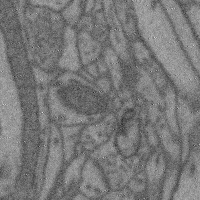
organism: Mouse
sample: Cerebral cortex